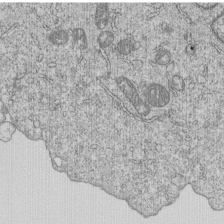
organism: Human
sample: MDA-MB-231 cells